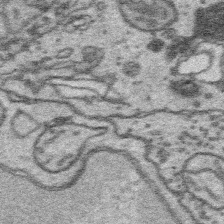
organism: Platynereis dumerilii